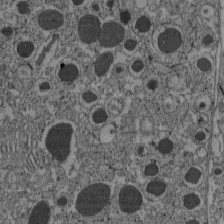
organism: C57BL Mouse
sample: Pancreatic islet